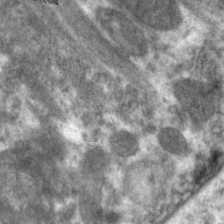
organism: C. elegans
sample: Pharynx